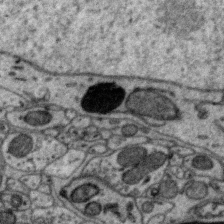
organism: Zebra finch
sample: Brain